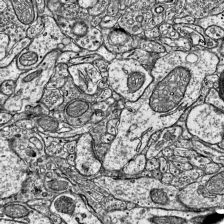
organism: Mouse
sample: Visual Cortex